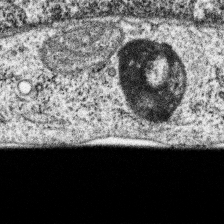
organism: Human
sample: HeLa cells